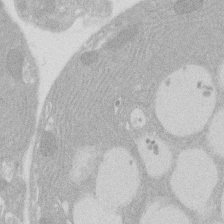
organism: Rat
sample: Salivary granule